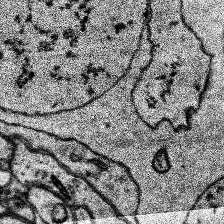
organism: Human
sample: Temporal Lobe